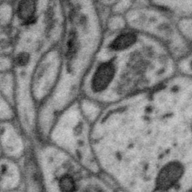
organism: Zebra finch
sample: Brain